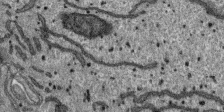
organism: Human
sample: Lung epithelial cells, uninfected (mock) control